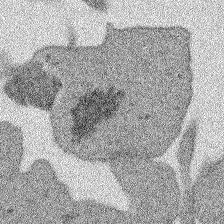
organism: Human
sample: HeLa cells